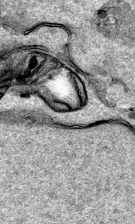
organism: Human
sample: Mitochondria in HCT116 cells